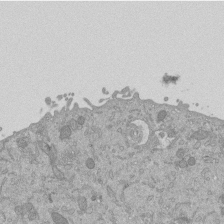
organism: Mouse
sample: ED-1 cell nuclei; centrioles